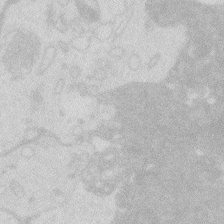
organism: Zebrafish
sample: Macrophage